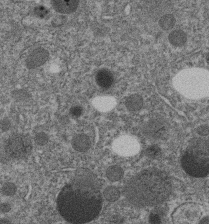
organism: C. elegans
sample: C. elegans embryo early stage